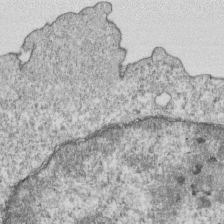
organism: Mouse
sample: Activated OT-1 CD8+ T cells